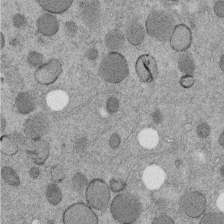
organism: C. elegans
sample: C. elegans embryo early stage